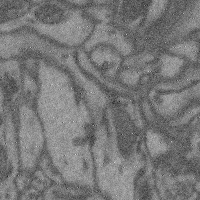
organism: Mouse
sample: Cerebral cortex